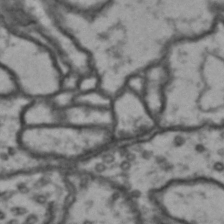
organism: Drosophila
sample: Brain